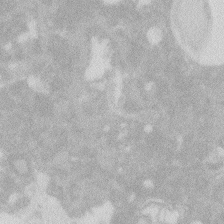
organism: Zebrafish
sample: Macrophage